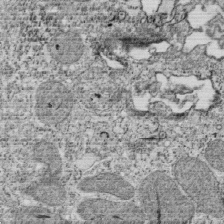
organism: Tetrahymena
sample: Cilia in tetrahymena